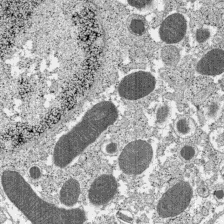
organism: C57BL Mouse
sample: Pancreatic islet